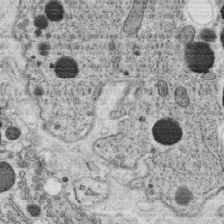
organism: C. elegans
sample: C. elegans oocyte; sperm cells